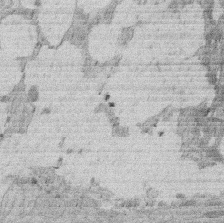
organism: Rat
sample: Salivary granule